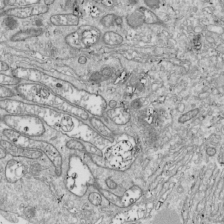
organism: Drosophila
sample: Cell division; meiosis; drosophila spermatocytes